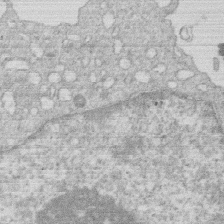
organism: Human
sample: Macrophage cells